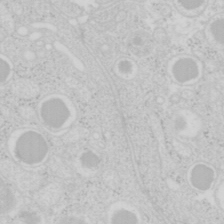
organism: Mouse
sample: Pancreas